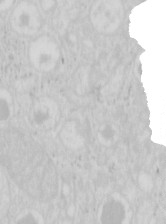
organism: Mouse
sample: Pancreas